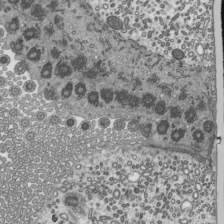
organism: Mouse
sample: Mouse epididymis efferent ductule cilia